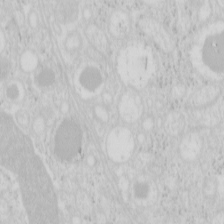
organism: Mouse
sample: Pancreas